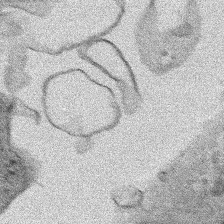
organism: Human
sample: Mitochondria in HCT116 cells